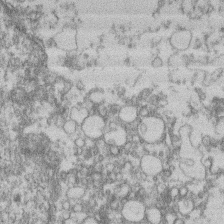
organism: Mouse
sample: T cell stromal cell synapse